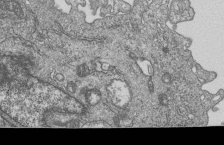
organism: Human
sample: MDA-MB-231 cells